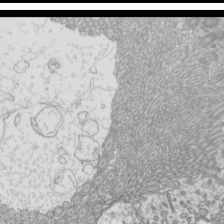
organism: Mouse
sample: Cilia; mouse epididymis